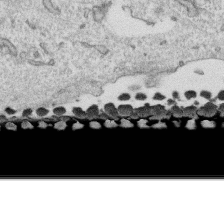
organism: Human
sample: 1205lu cells